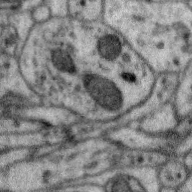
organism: Zebra finch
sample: Brain